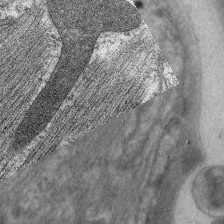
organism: C. elegans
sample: Pharynx